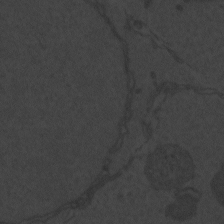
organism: Zebrafish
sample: Macrophage infected with Toxoplasma gondii